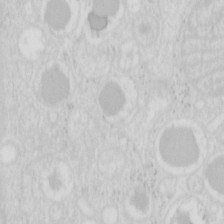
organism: Mouse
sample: Pancreas